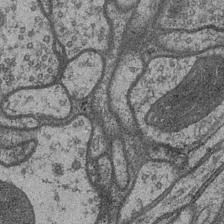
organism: Drosophila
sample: Optic medulla